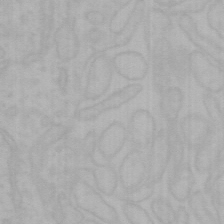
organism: Mouse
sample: Choroid plexus